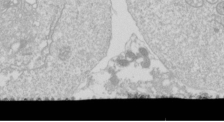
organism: Drosophila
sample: Cell division; meiosis; drosophila spermatocytes